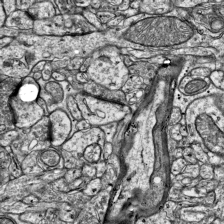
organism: Mouse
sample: Visual Cortex